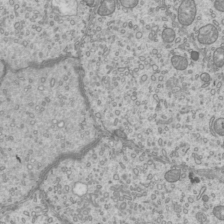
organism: Mouse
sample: Cilia; mouse epididymis